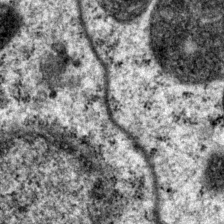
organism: P. pacificus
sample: Pharynx